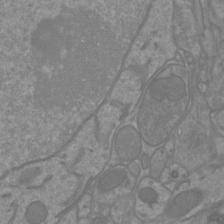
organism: Mouse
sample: Cortical neurons